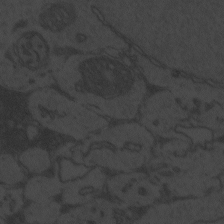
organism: Zebrafish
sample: Macrophage infected with Toxoplasma gondii